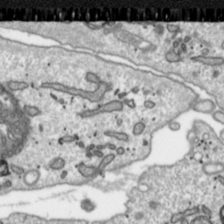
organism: Toxoplasma gondii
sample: Parasites in a vacuole inside a host cell